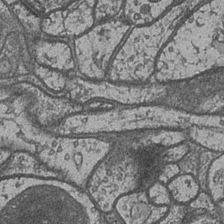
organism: Drosophila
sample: Optic medulla